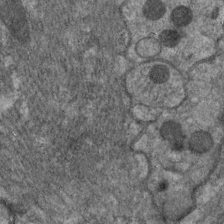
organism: C. elegans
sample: Pharynx